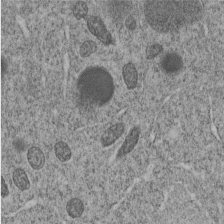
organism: C. elegans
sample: C. elegans embryo early stage